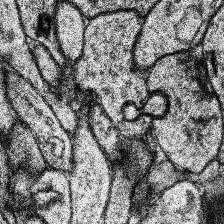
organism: Human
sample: Temporal Lobe